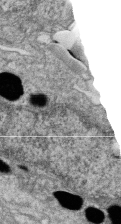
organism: Zebrafish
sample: Cilia; retinal pigment epithelium